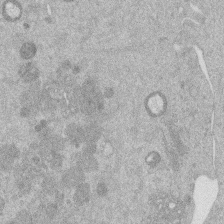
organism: Mouse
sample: Dividing mouse embryo 1 cell stage